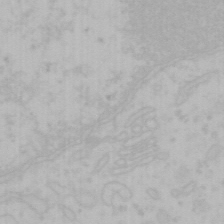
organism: Mouse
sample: Choroid plexus